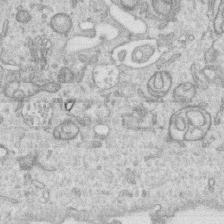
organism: Human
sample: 1205lu cells